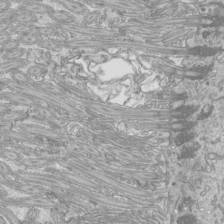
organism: Mouse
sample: Cilia; mouse epididymis